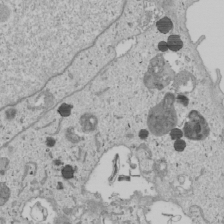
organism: Human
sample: Mitochondria in U2OS cells